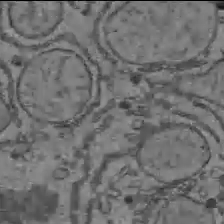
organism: C57BL Mouse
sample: Liver